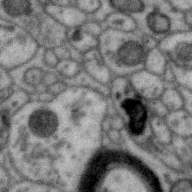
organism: Zebra finch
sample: Brain